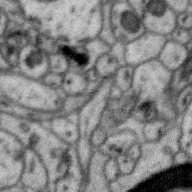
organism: Zebra finch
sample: Brain